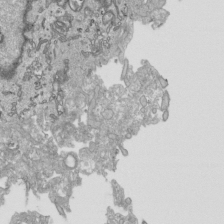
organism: Human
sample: Mitochondria in HCT116 cells